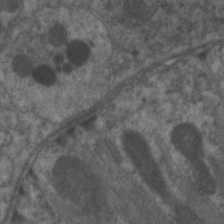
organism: C. elegans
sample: Pharynx